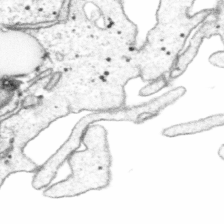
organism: Human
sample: HeLa cells